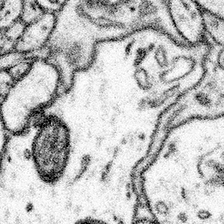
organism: Mouse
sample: Somatosensory cortex neuropil